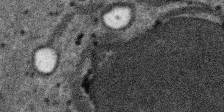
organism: Human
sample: Lung epithelial cells infected with SARS-CoV-2